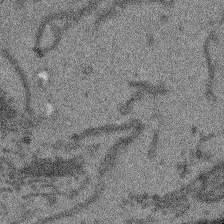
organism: Arabidopsis thaliana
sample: Root tip